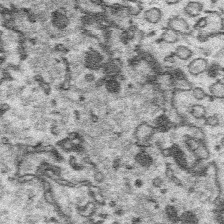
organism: Platynereis dumerilii